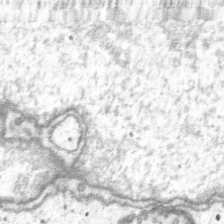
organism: Human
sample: HeLa cells